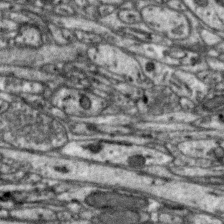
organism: Zebra finch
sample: Brain